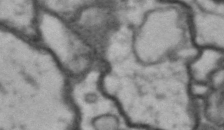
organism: Drosophila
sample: Brain